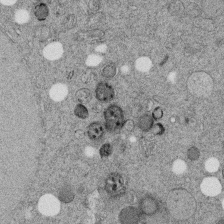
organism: C. elegans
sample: C. elegans embryo early stage